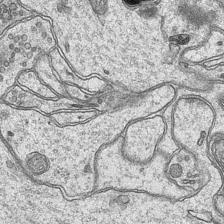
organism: Mouse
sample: CA1 Hippocampus